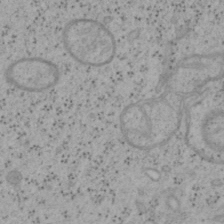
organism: Human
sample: HeLa cells